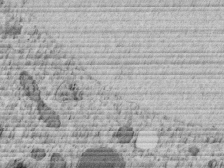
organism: C. elegans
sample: C. elegans embryo early stage